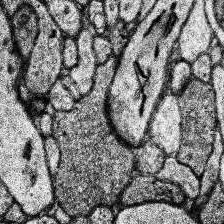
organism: Human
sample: Temporal Lobe